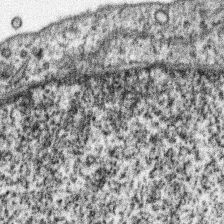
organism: Human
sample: HeLa cells